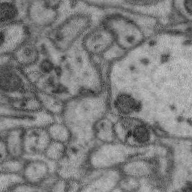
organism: Zebra finch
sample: Brain